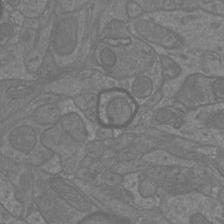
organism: Mouse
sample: Cortical neurons